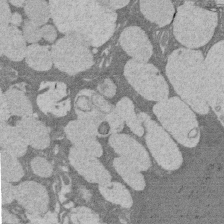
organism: Rat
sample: Salivary granule